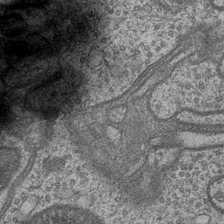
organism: Drosophila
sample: Optic medulla